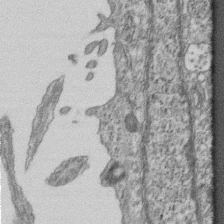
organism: Mouse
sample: Centriole in ependymal cells